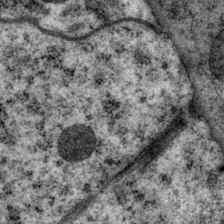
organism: P. pacificus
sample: Pharynx